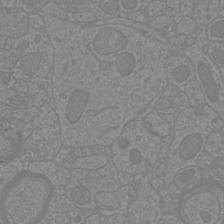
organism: Mouse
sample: Cortical neurons